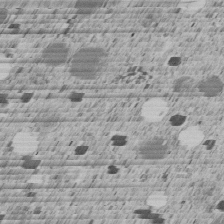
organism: C. elegans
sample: C. elegans embryo early stage